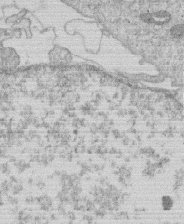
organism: Human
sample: Macrophage cells